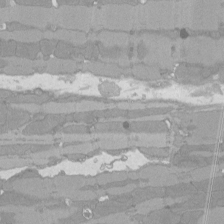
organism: Rat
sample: Left ventricle